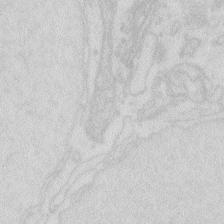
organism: Zebrafish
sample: Macrophage